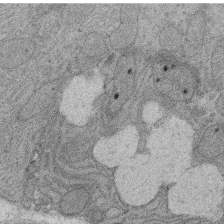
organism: Rat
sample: Salivary granule